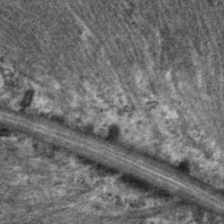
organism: C. elegans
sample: Pharynx